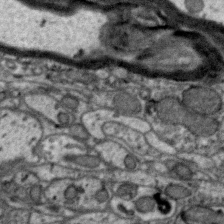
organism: Zebra finch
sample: Brain